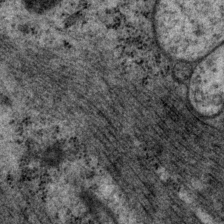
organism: P. pacificus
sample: Pharynx